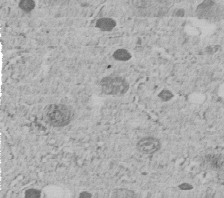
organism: C. elegans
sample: C. elegans embryo early stage